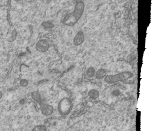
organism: Human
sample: MDA-MB-231 cells